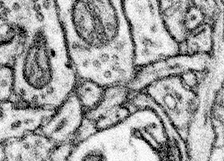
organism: Mouse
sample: Somatosensory cortex neuropil